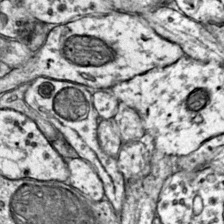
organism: Mouse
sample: Primary visual cortex